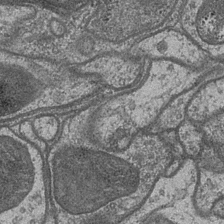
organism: Drosophila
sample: Optic medulla